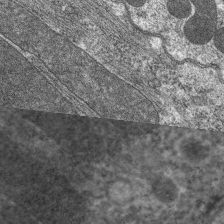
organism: C. elegans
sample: Pharynx